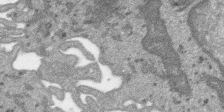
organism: Human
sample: Lung epithelial cells infected with SARS-CoV-2